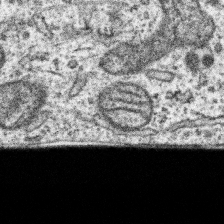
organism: Human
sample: HeLa cells